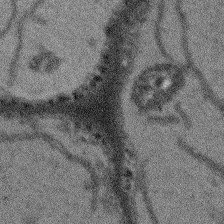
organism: Arabidopsis thaliana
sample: Root tip